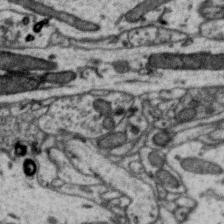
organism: Zebra finch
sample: Brain